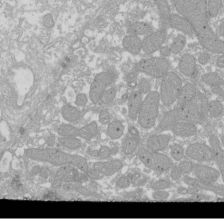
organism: Xenopus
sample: Cilia; centrioles in frog embryo cells